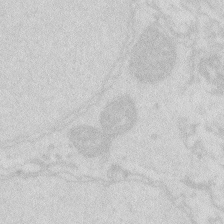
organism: Zebrafish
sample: Macrophage